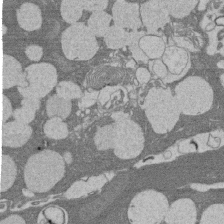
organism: Rat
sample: Salivary granule